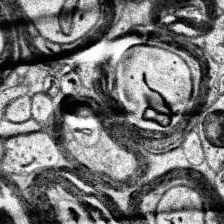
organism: Human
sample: Temporal Lobe